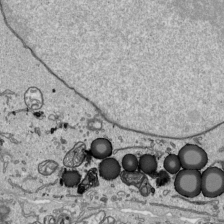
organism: Human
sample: Mitochondria in HCT116 cells